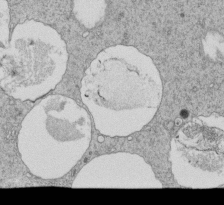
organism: Tetrahymena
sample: Cilia in tetrahymena